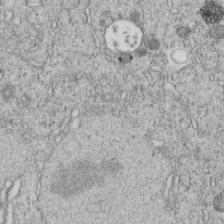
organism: C. elegans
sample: C. elegans embryo early stage